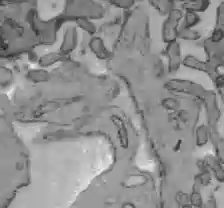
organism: C57BL Mouse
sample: Liver